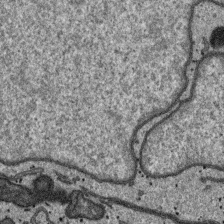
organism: Human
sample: Lung epithelial cells, uninfected (mock) control